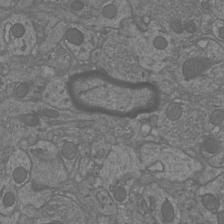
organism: Mouse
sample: Cortical neurons